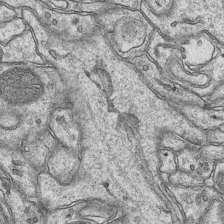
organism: Mouse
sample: CA1 Hippocampus